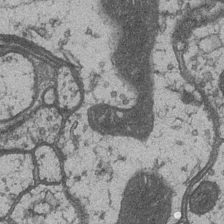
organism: Drosophila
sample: Optic medulla